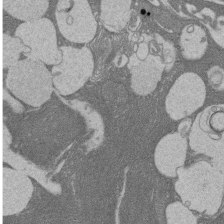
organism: Rat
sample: Salivary granule